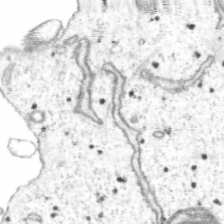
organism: Human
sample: HeLa cells